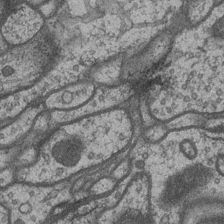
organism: Drosophila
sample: Optic medulla